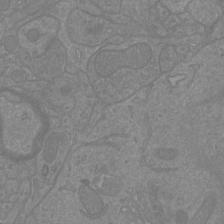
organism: Mouse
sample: Cortical neurons